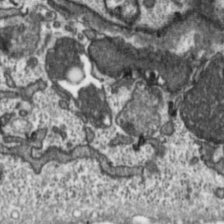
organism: Toxoplasma gondii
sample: Parasites in a vacuole inside a host cell